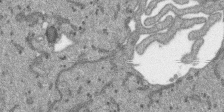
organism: Human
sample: Lung epithelial cells infected with SARS-CoV-2